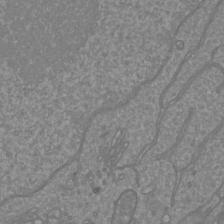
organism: Mouse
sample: Cortical neurons